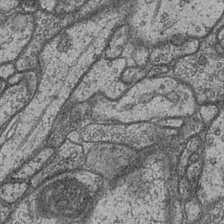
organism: Drosophila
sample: Optic medulla